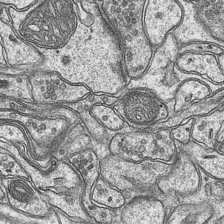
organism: Mouse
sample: CA1 Hippocampus